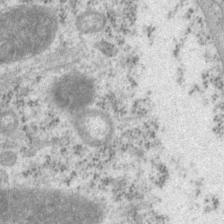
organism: P. pacificus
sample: Pharynx